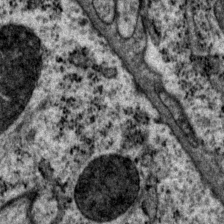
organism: P. pacificus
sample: Pharynx